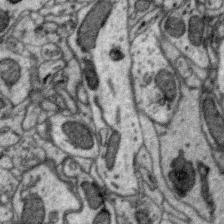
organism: Zebra finch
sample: Brain